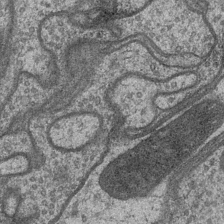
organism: Drosophila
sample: Optic medulla